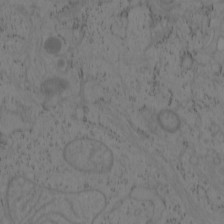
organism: Human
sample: HeLa cells